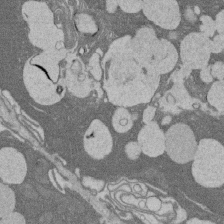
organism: Rat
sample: Salivary granule